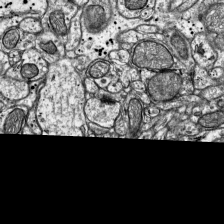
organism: Mouse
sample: Visual Cortex